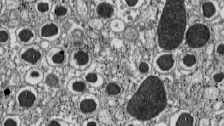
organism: C57BL Mouse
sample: Pancreatic islet